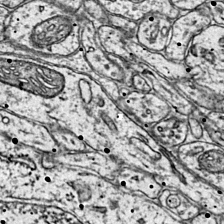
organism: Mouse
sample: Primary visual cortex